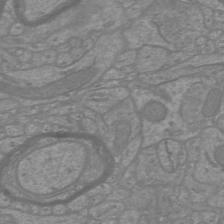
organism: Mouse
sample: Cortical neurons